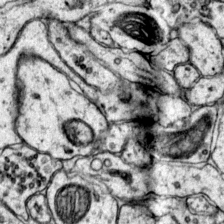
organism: Mouse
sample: Primary visual cortex